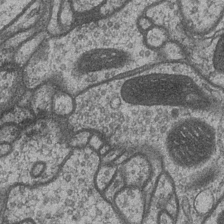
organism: Drosophila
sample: Optic medulla